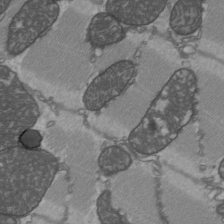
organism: C57BL Mouse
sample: Heart